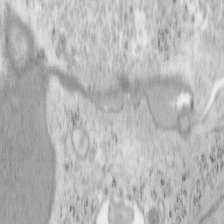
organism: Human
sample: HeLa cells